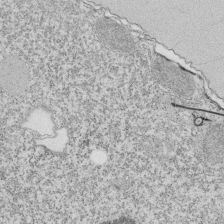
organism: Tetrahymena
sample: Cilia in tetrahymena